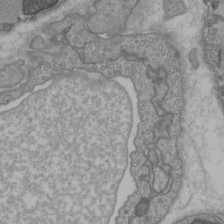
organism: C57BL Mouse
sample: Heart